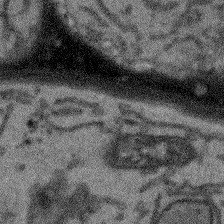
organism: Arabidopsis thaliana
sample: Root tip